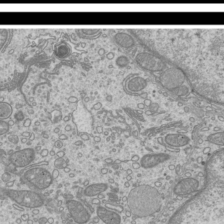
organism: Mouse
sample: Cilia; mouse epididymis